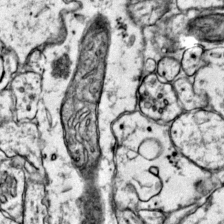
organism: Mouse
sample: Primary visual cortex